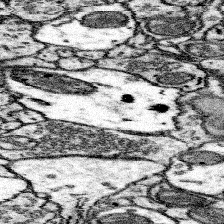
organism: Mouse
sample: Somatosensory cortex neuropil